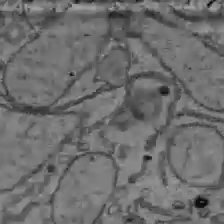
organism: C57BL Mouse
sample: Liver